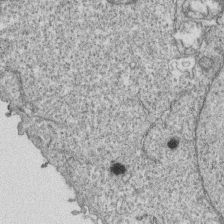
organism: Human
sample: HeLa cell HIV synapse